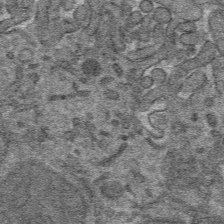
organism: Mouse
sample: Mouse hepatocytes